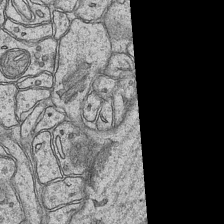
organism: Mouse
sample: CA1 Hippocampus